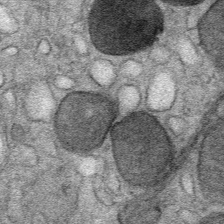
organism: Mouse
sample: Mouse Salivary gland